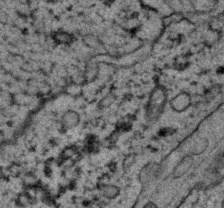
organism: C. elegans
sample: C. elegans embryo